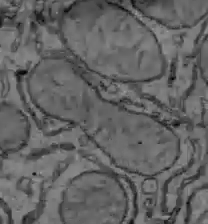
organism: C57BL Mouse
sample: Liver